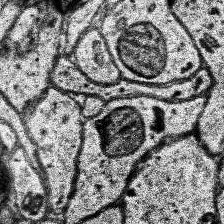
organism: Human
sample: Temporal Lobe